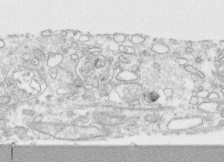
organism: Human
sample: CRL-1474